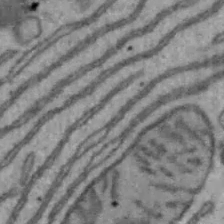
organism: Mouse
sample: Liver